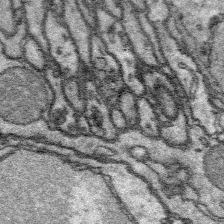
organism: Platynereis dumerilii